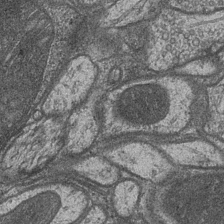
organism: Drosophila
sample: Optic medulla